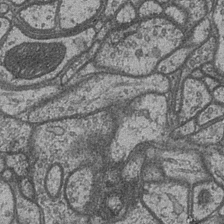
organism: Drosophila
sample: Optic medulla